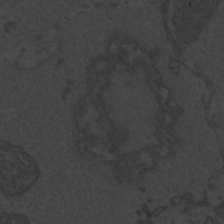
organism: Zebrafish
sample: Macrophage infected with Toxoplasma gondii